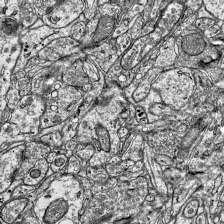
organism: Mouse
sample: Visual Cortex